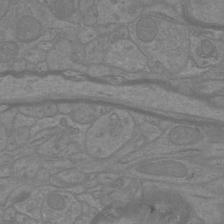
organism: Mouse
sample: Cortical neurons